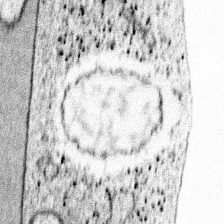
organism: Human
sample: HeLa cells